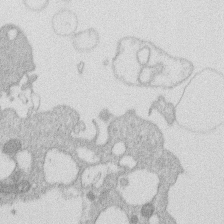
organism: Human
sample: Macrophage cells